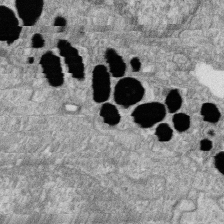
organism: Zebrafish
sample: Cilia; retinal pigment epithelium